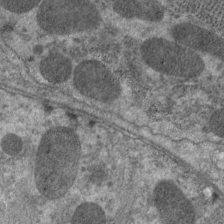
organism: C. elegans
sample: Pharynx